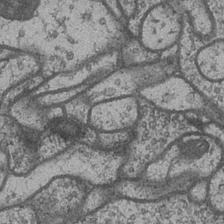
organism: Drosophila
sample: Optic medulla